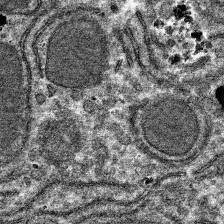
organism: Mouse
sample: Mouse hepatocytes